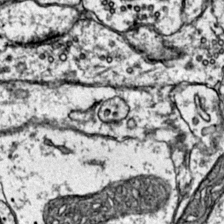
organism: Mouse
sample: Primary visual cortex